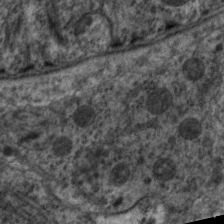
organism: C. elegans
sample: Pharynx